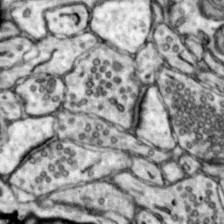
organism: Mouse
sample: Nucleus accumbens